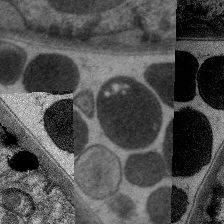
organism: C. elegans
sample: Pharynx